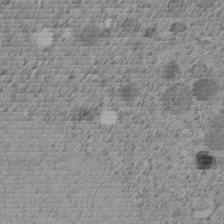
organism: C. elegans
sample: C. elegans embryo early stage